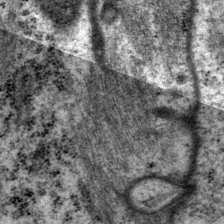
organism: P. pacificus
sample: Pharynx